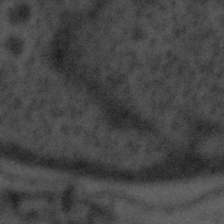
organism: Tuwongella immobilis